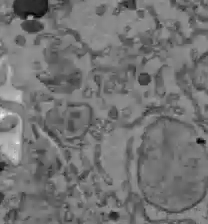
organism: C57BL Mouse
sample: Liver